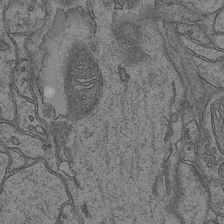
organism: Mouse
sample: CA1 Hippocampus